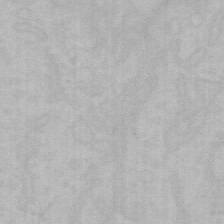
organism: Mouse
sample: Choroid plexus